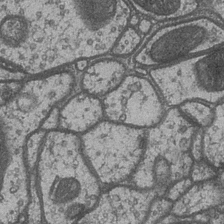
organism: Drosophila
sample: Optic medulla